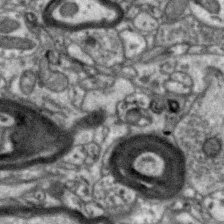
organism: Zebra finch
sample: Brain